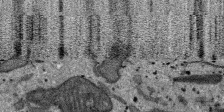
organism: Human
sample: Lung epithelial cells, uninfected (mock) control